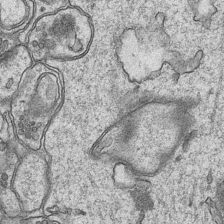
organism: Mouse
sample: CA1 Hippocampus